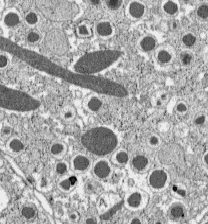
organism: C57BL Mouse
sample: Pancreatic islet